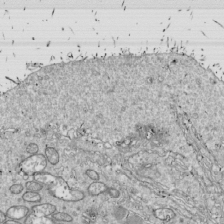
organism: Drosophila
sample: Cell division; meiosis; drosophila spermatocytes